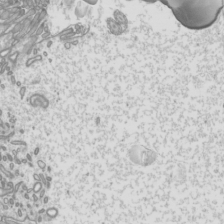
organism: Mouse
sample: Cilia; mouse epididymis